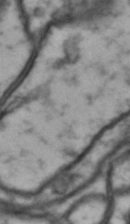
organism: Drosophila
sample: Brain